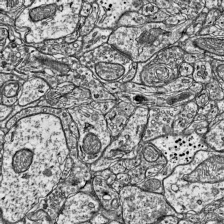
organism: Mouse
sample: Visual Cortex